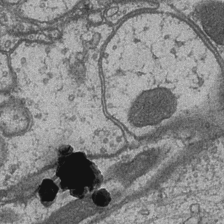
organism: Drosophila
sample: Optic medulla